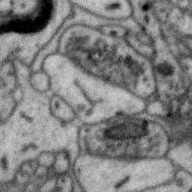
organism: Zebra finch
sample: Brain